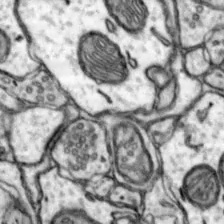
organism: Mouse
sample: Nucleus accumbens